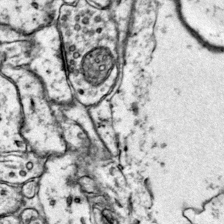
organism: Mouse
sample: Primary visual cortex